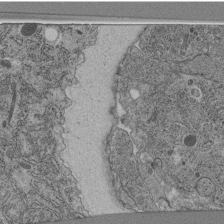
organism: C. elegans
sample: C. elegans pharynx